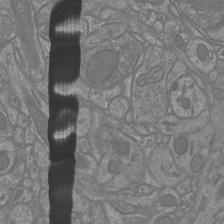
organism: Mouse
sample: Cortical neurons